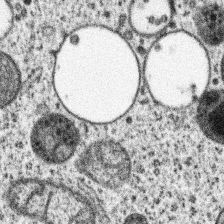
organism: Human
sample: HeLa cells